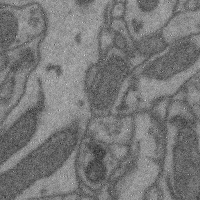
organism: Mouse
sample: Cerebral cortex